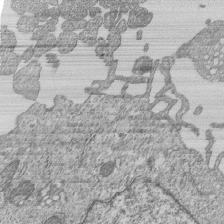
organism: Human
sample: MDA-MB-231 cells